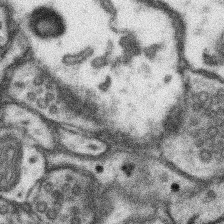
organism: Mouse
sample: Somatosensory cortex neuropil